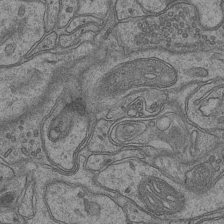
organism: Mouse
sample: CA1 Hippocampus